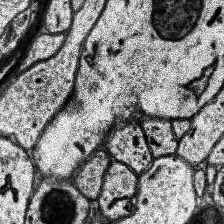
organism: Human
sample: Temporal Lobe